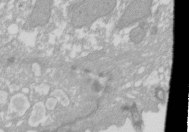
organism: Xenopus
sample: Cilia; centrioles in frog embryo cells